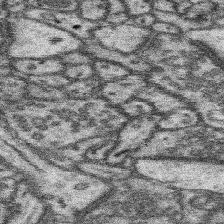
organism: Mouse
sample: Somatosensory cortex neuropil